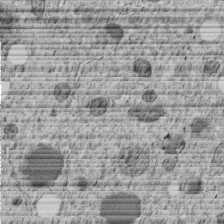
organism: C. elegans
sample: C. elegans embryo early stage